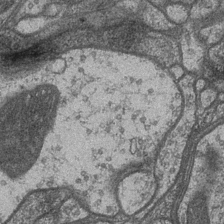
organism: Drosophila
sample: Optic medulla